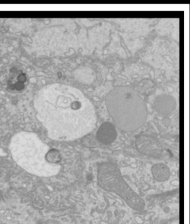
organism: Mouse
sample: Cilia; mouse epididymis